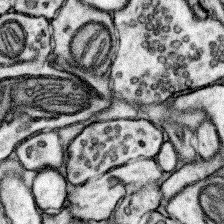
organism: Mouse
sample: Somatosensory cortex neuropil